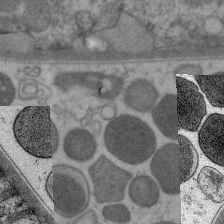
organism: C. elegans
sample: Pharynx